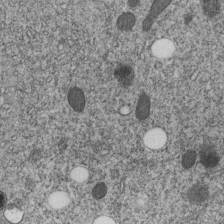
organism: C. elegans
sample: C. elegans embryo early stage